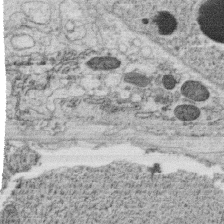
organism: C. elegans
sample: C. elegans oocyte; sperm cells